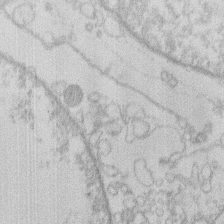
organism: Human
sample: Macrophage cells